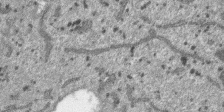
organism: Human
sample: Lung epithelial cells infected with SARS-CoV-2